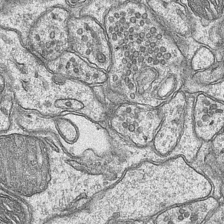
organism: Mouse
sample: CA1 Hippocampus